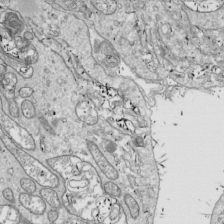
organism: Drosophila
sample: Cell division; meiosis; drosophila spermatocytes